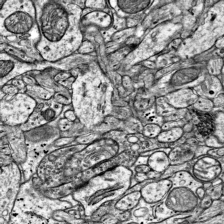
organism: Mouse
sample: Visual Cortex